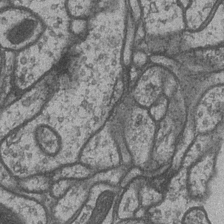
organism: Drosophila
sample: Optic medulla